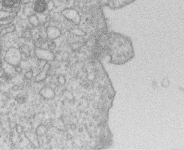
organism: Human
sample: Macrophage cells